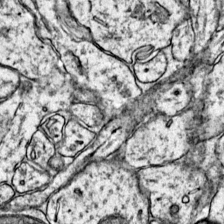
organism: Mouse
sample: Primary visual cortex